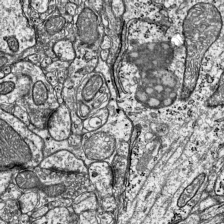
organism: Mouse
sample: Visual Cortex